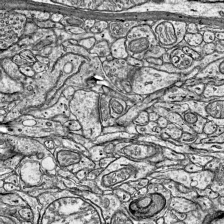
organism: Mouse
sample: Visual Cortex